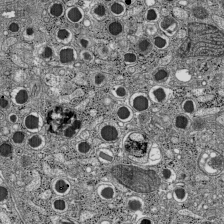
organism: C57BL Mouse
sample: Pancreatic islet